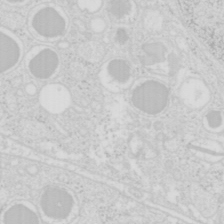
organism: Mouse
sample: Pancreas